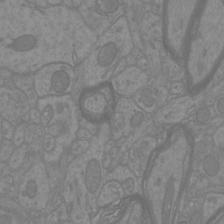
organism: Mouse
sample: Cortical neurons